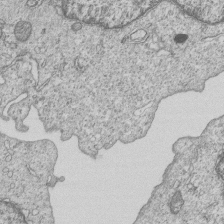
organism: Human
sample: MDA-MB-231 cells